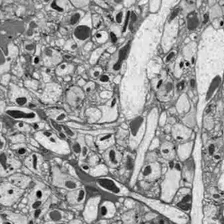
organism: Drosophila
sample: Optic lobe